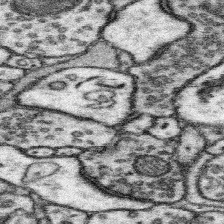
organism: Mouse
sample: Somatosensory cortex neuropil